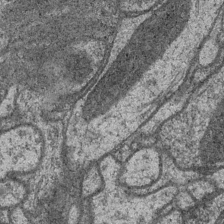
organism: Drosophila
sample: Optic medulla